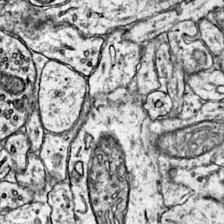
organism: Mouse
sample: Primary visual cortex